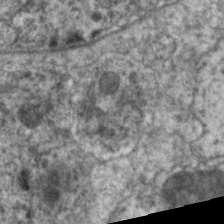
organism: C. elegans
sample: Pharynx